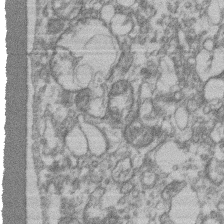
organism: Mouse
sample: T cell stromal cell synapse